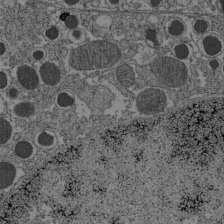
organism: C57BL Mouse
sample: Pancreatic islet